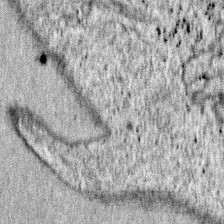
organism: Human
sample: HeLa cells